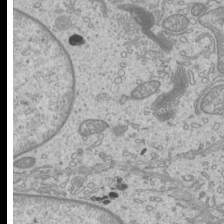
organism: Mouse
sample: Cilia; mouse epididymis